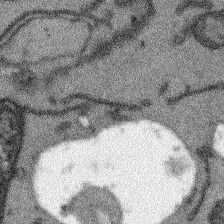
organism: Arabidopsis thaliana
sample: Root tip